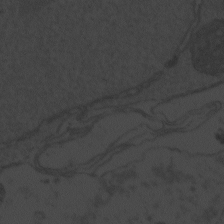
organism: Zebrafish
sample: Macrophage infected with Toxoplasma gondii